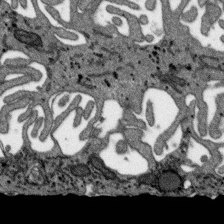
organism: Human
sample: Lung epithelial cells, uninfected (mock) control